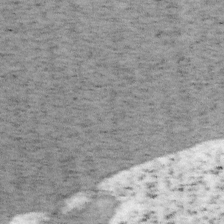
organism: Mouse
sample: OT-I killer T cells with ID8 ovarian cancer cells